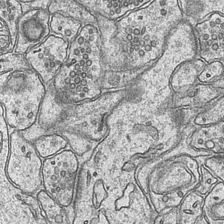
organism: Mouse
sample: CA1 Hippocampus